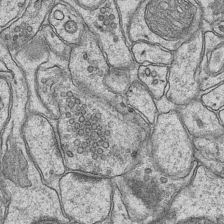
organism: Mouse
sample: CA1 Hippocampus